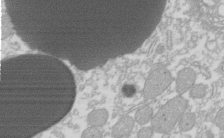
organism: Xenopus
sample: Cilia; centrioles in frog embryo cells